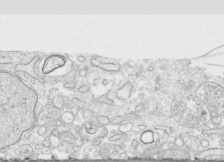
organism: Human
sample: CRL-1474